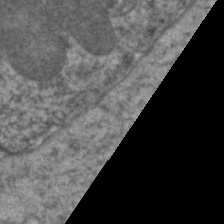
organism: C. elegans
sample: Pharynx